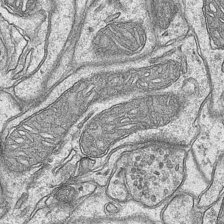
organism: Mouse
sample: CA1 Hippocampus